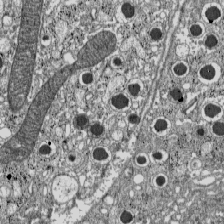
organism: C57BL Mouse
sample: Pancreatic islet